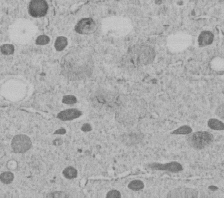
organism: C. elegans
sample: C. elegans embryo early stage